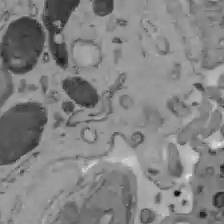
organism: C57BL Mouse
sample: Liver